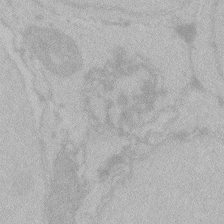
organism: Zebrafish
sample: Macrophage infected with Toxoplasma gondii